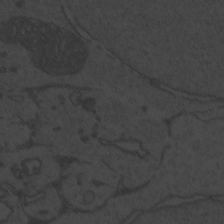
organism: Zebrafish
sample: Macrophage infected with Toxoplasma gondii